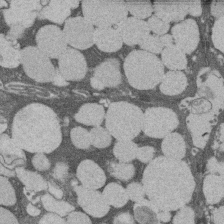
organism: Rat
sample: Salivary granule